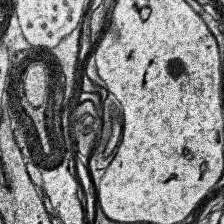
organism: Human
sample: Temporal Lobe